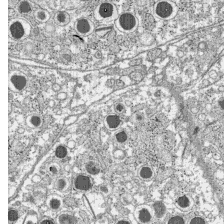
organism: C57BL Mouse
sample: Pancreatic islet